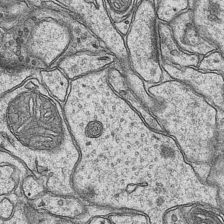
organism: Mouse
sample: CA1 Hippocampus